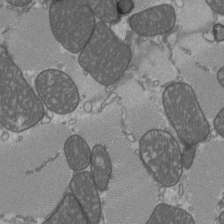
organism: C57BL Mouse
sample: Heart